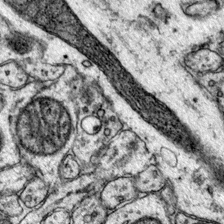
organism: Mouse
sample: Primary visual cortex